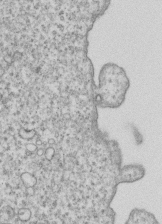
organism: Human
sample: MDA-MB-231 cells